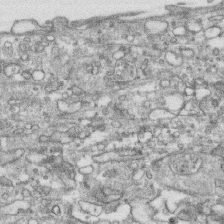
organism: Human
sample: CRL-1474